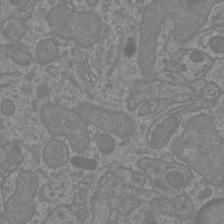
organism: Mouse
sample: Cortical neurons